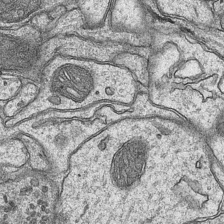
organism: Mouse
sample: CA1 Hippocampus